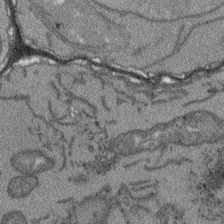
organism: Arabidopsis thaliana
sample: Root tip